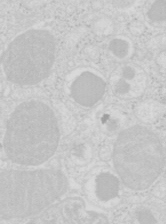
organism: Mouse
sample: Pancreas